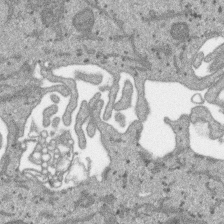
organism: Human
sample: Lung epithelial cells infected with SARS-CoV-2